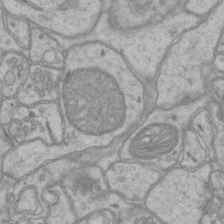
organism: Mouse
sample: CA1 Hippocampus